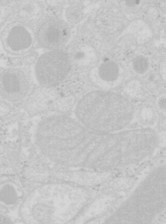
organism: Mouse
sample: Pancreas